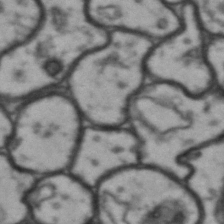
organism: Drosophila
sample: Brain